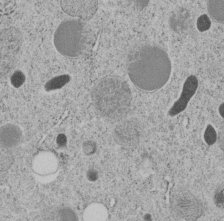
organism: C. elegans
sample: C. elegans embryo early stage